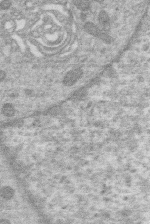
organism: Human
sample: Macrophage cells